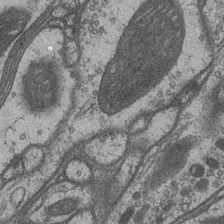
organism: Drosophila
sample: Optic medulla